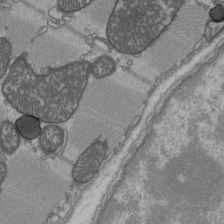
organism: C57BL Mouse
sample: Heart